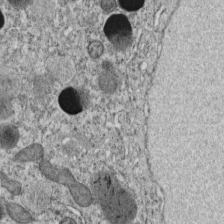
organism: C. elegans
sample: C. elegans embryo early stage